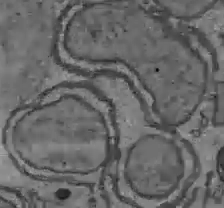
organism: C57BL Mouse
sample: Liver